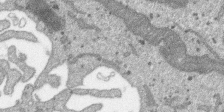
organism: Human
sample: Lung epithelial cells infected with SARS-CoV-2